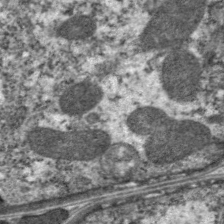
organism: C. elegans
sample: Pharynx